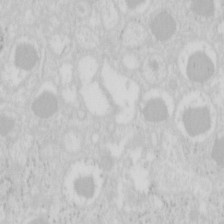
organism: Mouse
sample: Pancreas